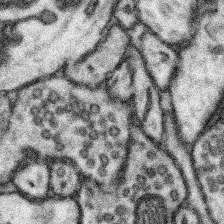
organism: Mouse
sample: Somatosensory cortex neuropil